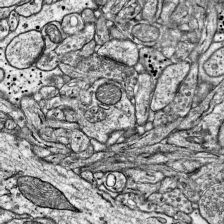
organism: Mouse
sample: Visual Cortex